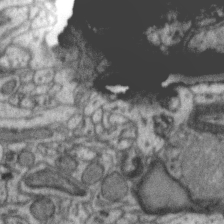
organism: Zebra finch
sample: Brain